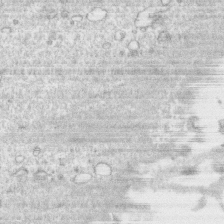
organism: Human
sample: CRL-1474